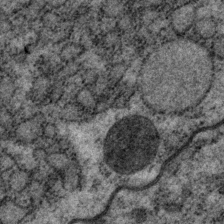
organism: P. pacificus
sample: Pharynx